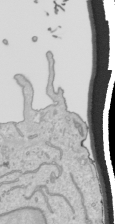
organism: Human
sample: Mitochondria in HCT116 cells